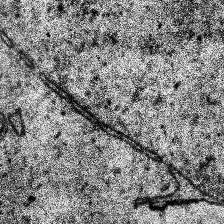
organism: Human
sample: Temporal Lobe